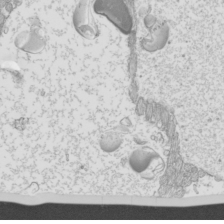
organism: Mouse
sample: Cilia; mouse epididymis